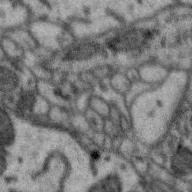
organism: Zebra finch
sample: Brain